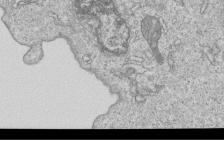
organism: Human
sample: MDA-MB-231 cells